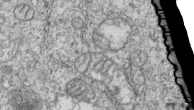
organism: Human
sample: HeLa cell HIV synapse